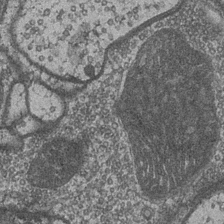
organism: Drosophila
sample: Optic medulla